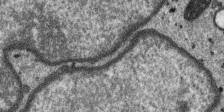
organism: Human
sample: Lung epithelial cells infected with SARS-CoV-2